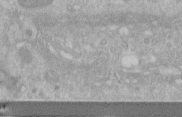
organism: Human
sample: Centriole in RPE cells